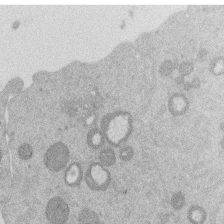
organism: Mouse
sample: Dividing mouse embryo 1 cell stage